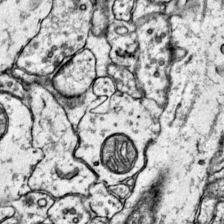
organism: Mouse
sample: Primary visual cortex